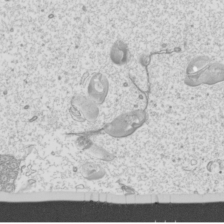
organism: Mouse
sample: Cilia; mouse epididymis